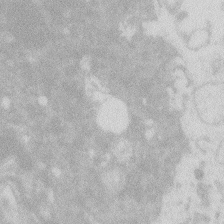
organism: Zebrafish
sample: Macrophage